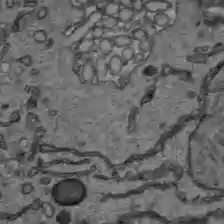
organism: C57BL Mouse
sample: Liver